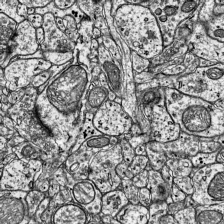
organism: Mouse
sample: Visual Cortex